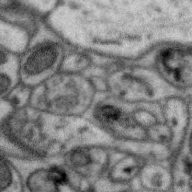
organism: Zebra finch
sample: Brain